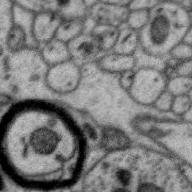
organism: Zebra finch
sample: Brain